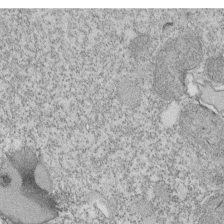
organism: Tetrahymena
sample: Cilia in tetrahymena